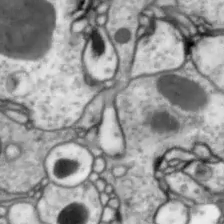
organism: Drosophila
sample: Optic lobe